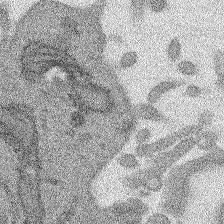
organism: Human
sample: HeLa cells